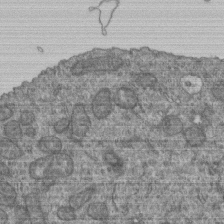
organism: Human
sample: Retinal organoid Rod and Cone cells